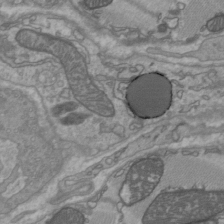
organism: C57BL Mouse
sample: Heart